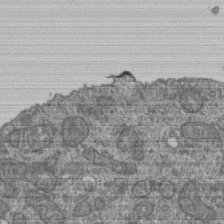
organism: Human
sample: Retinal organoid Rod and Cone cells